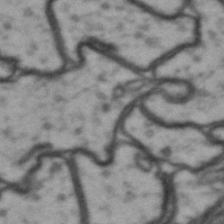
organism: Drosophila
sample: Brain